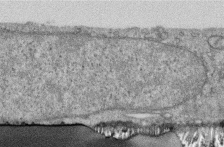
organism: Human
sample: Centriole in RPE cells